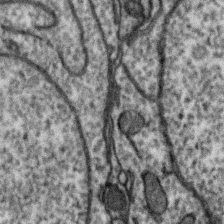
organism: Zebra finch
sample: Brain